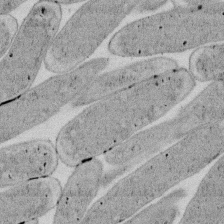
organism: E. coli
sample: Bacterial nucleoid